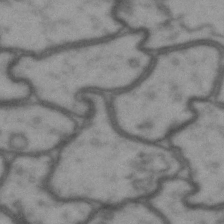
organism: Drosophila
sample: Brain